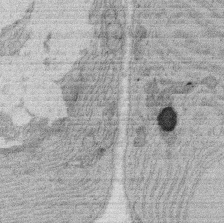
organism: Rat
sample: Salivary granule